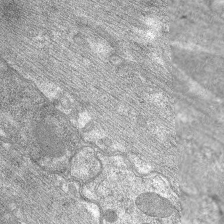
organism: C. elegans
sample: Pharynx